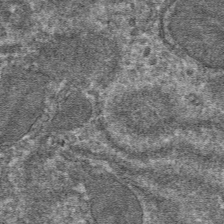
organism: Mouse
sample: Mouse hepatocytes